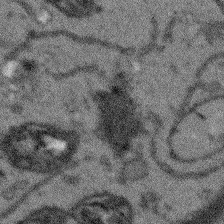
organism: Arabidopsis thaliana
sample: Root tip